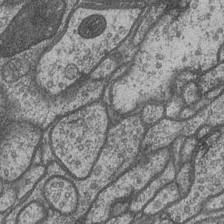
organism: Drosophila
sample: Optic medulla